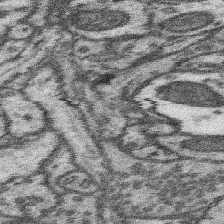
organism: Mouse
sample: Somatosensory cortex neuropil